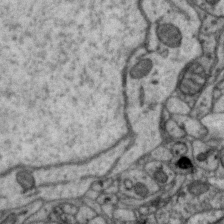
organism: Zebra finch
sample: Brain